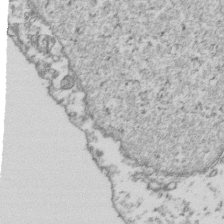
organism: Human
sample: Activated Jurkat CD4+ T cells